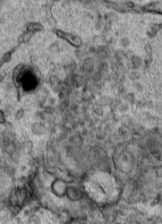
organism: Human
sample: Mitochondria in HCT116 cells